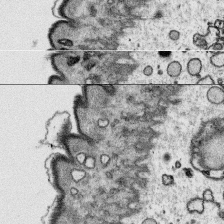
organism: Platynereis dumerilii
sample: Parapodia